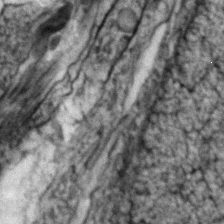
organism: Zebrafish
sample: Zebrafish embryo